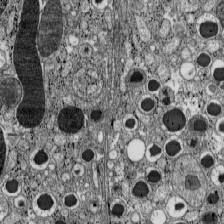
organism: C57BL Mouse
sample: Pancreatic islet